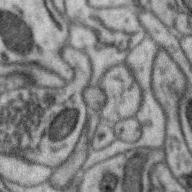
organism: Zebra finch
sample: Brain